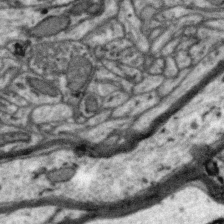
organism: Zebra finch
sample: Brain